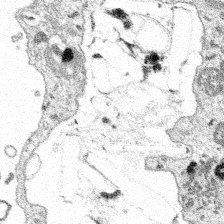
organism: Spongilla lacustris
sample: Multiple